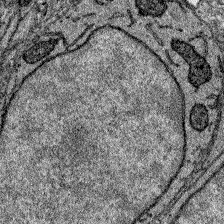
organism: Zebrafish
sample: Larval olfactory bulb